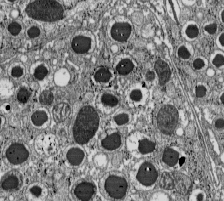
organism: C57BL Mouse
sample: Pancreatic islet